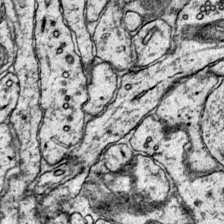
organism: Mouse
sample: Primary visual cortex